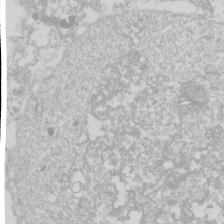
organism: Drosophila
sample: Cell division; meiosis; drosophila spermatocytes